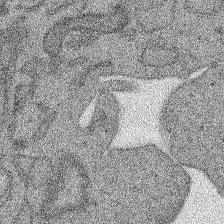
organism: Human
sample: HeLa cells